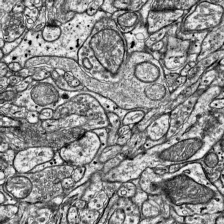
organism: Mouse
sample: Visual Cortex